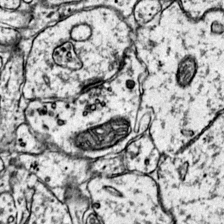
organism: Mouse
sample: Primary visual cortex